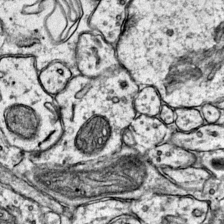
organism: Mouse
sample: Primary visual cortex